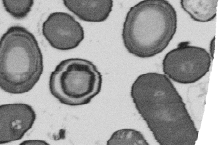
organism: B. subtilis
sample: Bacterial spore